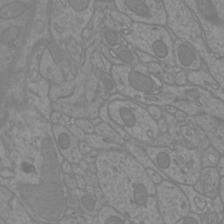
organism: Mouse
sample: Cortical neurons